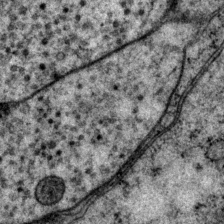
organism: P. pacificus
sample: Pharynx